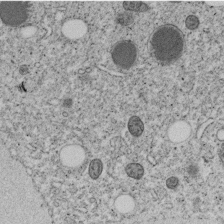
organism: C. elegans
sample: C. elegans embryo early stage